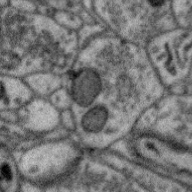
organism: Zebra finch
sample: Brain